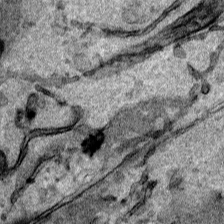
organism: Human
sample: Mitochondria in HCT116 cells